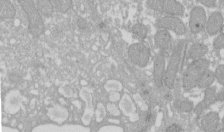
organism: Xenopus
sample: Cilia; centrioles in frog embryo cells